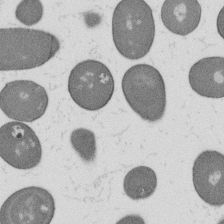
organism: B. subtilis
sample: Bacterial spore